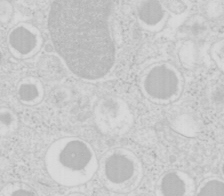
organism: Mouse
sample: Pancreas